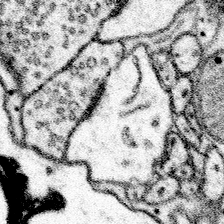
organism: Mouse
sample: Somatosensory cortex neuropil